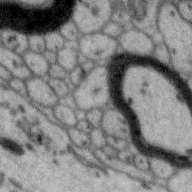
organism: Zebra finch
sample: Brain